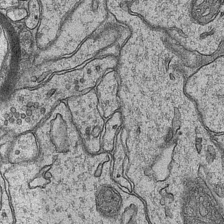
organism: Mouse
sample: CA1 Hippocampus